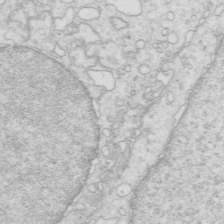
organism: Mouse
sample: Multiciliated cells